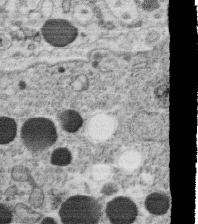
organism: C. elegans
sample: C. elegans oocyte; sperm cells